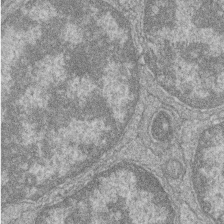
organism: Zebrafish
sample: Cilia; retinal pigment epithelium